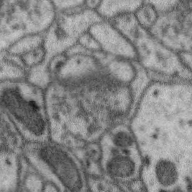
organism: Zebra finch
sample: Brain